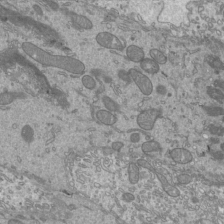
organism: Mouse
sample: Cilia; mouse epididymis